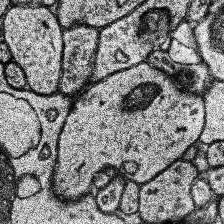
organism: Human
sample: Temporal Lobe